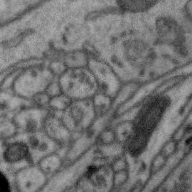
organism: Zebra finch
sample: Brain